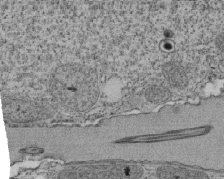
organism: Tetrahymena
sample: Cilia in tetrahymena